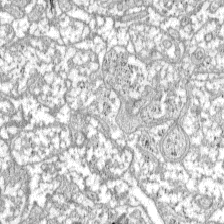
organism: C57BL Mouse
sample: Pancreatic islet